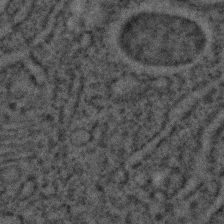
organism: C. elegans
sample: C. elegans embryo